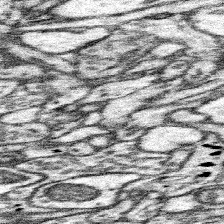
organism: Mouse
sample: Somatosensory cortex neuropil